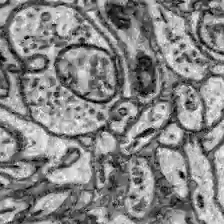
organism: Zebrafish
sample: Brain